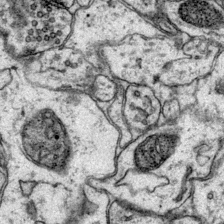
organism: Mouse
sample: Primary visual cortex